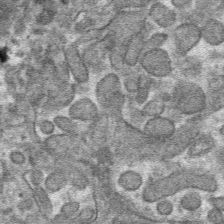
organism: Mouse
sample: Mouse hepatocytes